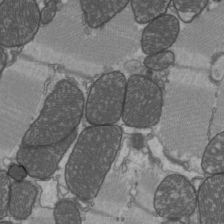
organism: C57BL Mouse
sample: Heart